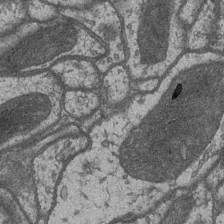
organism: Drosophila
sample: Optic medulla